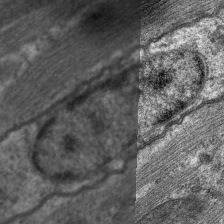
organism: C. elegans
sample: Pharynx